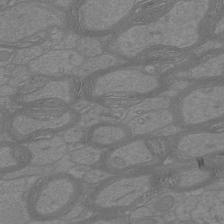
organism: Mouse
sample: Cortical neurons